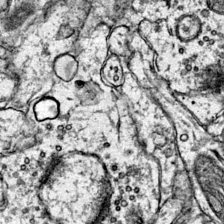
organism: Mouse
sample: Primary visual cortex